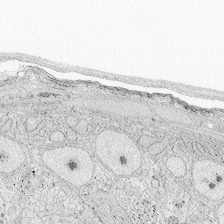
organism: Zebrafish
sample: Whole-Brain